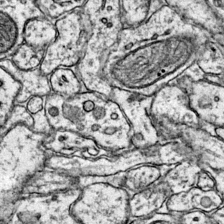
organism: Mouse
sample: Primary visual cortex